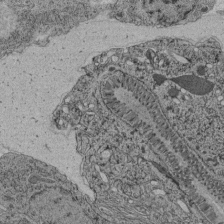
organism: C. elegans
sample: C. elegans pharynx